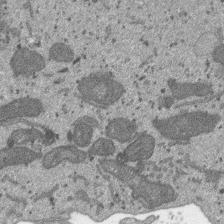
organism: Human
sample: Lung epithelial cells infected with SARS-CoV-2